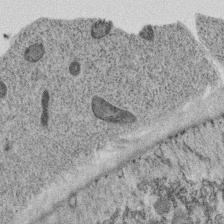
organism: C. elegans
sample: C. elegans oocyte; sperm cells